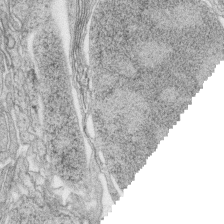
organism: Zebrafish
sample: synaptic ribbons in rod cells and cone cells